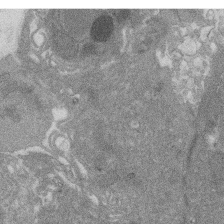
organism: Rat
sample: Salivary granule